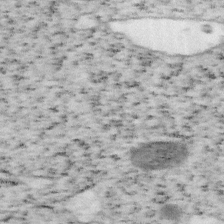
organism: Mouse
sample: OT-I killer T cells with ID8 ovarian cancer cells